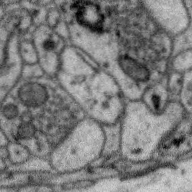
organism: Zebra finch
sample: Brain